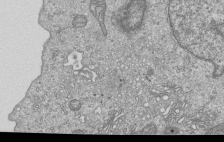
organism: Human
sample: MDA-MB-231 cells